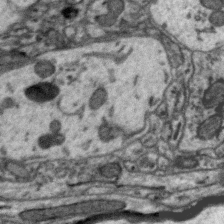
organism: Zebra finch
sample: Brain